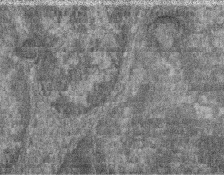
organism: Zebrafish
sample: Cilia; retinal pigment epithelium